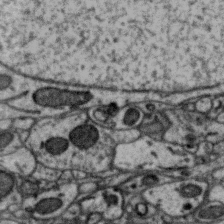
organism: Zebra finch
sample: Brain